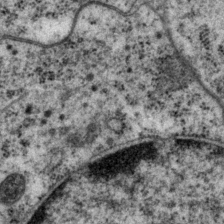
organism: P. pacificus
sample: Pharynx